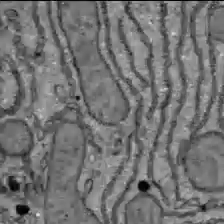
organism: C57BL Mouse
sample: Liver